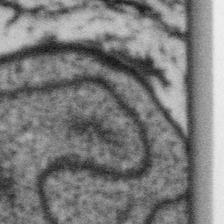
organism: Gemmata obscuriglobus